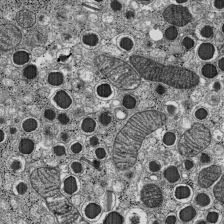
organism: C57BL Mouse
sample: Pancreatic islet